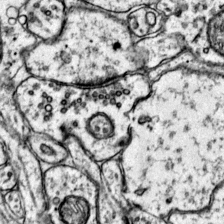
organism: Mouse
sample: Primary visual cortex